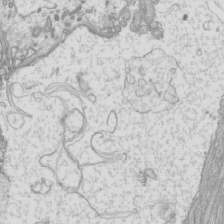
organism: Mouse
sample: Cilia; mouse epididymis